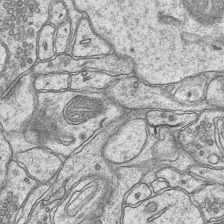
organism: Mouse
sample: CA1 Hippocampus